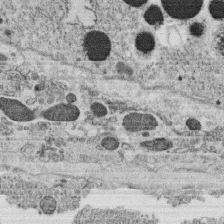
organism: C. elegans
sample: C. elegans oocyte; sperm cells